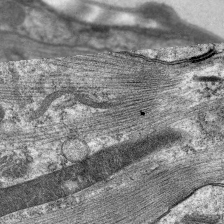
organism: C. elegans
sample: Pharynx